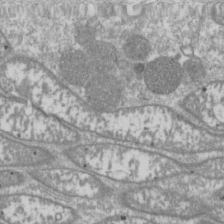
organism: Drosophila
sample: Cell division; meiosis; drosophila spermatocytes